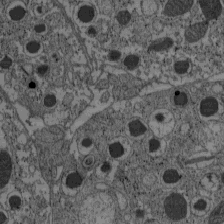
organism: C57BL Mouse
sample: Pancreatic islet